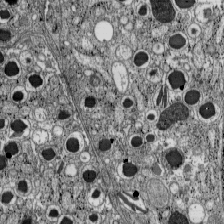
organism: C57BL Mouse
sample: Pancreatic islet